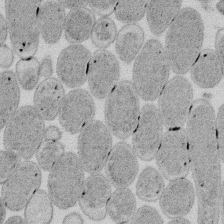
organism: E. coli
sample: Bacterial nucleoid